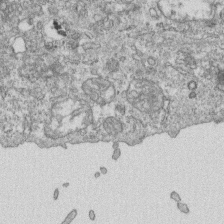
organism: Human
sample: HeLa cell HIV synapse